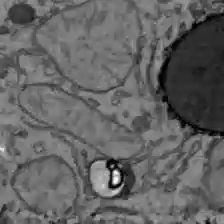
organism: C57BL Mouse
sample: Liver